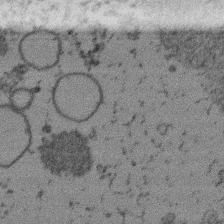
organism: Mouse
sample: Dividing mouse embryo 1 cell stage